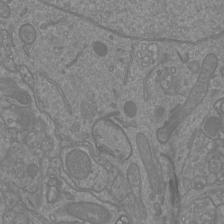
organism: Mouse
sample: Cortical neurons